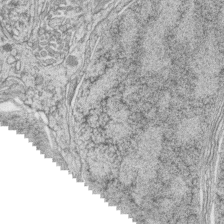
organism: Zebrafish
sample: synaptic ribbons in rod cells and cone cells